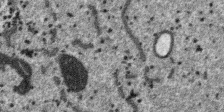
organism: Human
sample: Lung epithelial cells infected with SARS-CoV-2